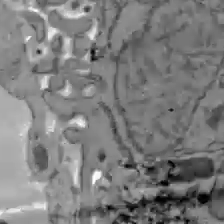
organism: C57BL Mouse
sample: Liver